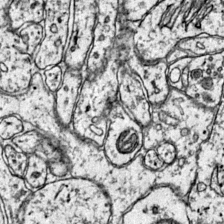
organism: Mouse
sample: Primary visual cortex